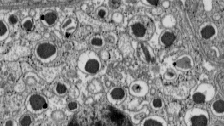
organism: C57BL Mouse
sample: Pancreatic islet